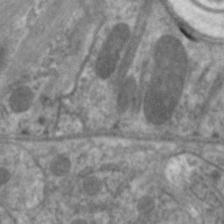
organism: C. elegans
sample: Pharynx